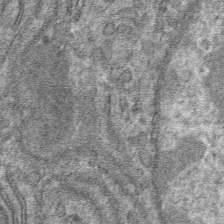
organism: Mouse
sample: Mouse hepatocytes